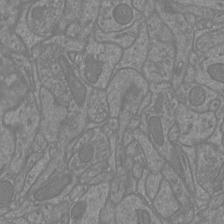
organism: Mouse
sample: Cortical neurons